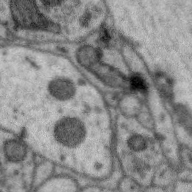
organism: Zebra finch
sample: Brain